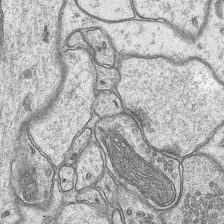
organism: Mouse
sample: CA1 Hippocampus